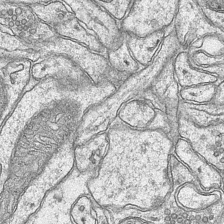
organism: Mouse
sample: CA1 Hippocampus